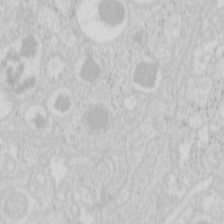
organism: Mouse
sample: Pancreas